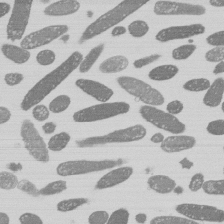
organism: E. coli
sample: Bacterial nucleoid